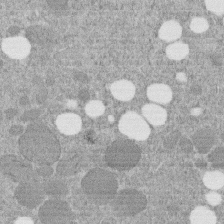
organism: C. elegans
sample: C. elegans embryo early stage